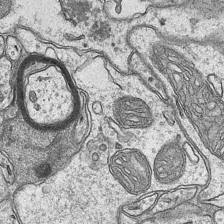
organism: Mouse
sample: CA1 Hippocampus